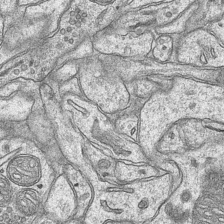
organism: Mouse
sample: CA1 Hippocampus